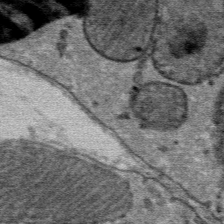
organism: Mouse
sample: Mouse Salivary gland